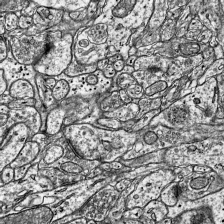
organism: Mouse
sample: Visual Cortex